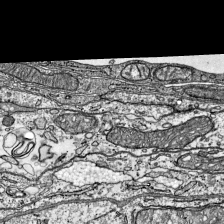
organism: Mouse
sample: Visual Cortex